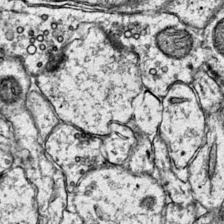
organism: Mouse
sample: Primary visual cortex